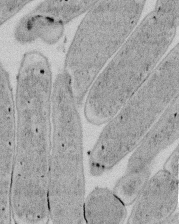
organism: E. coli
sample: Bacterial nucleoid